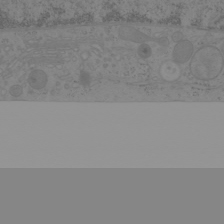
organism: Human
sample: HeLa cells